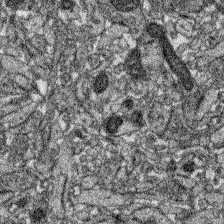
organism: Zebrafish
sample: Larval olfactory bulb